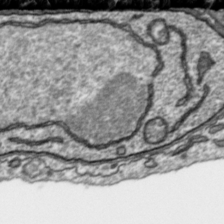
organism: Toxoplasma gondii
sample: Parasites in a vacuole inside a host cell